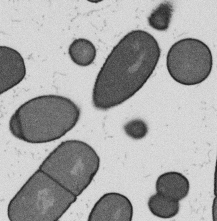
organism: B. subtilis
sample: Bacterial spore